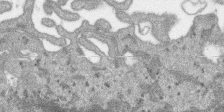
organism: Human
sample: Lung epithelial cells infected with SARS-CoV-2